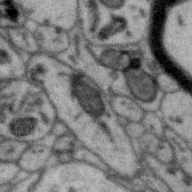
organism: Zebra finch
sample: Brain